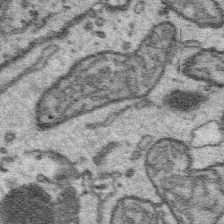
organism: Platynereis dumerilii